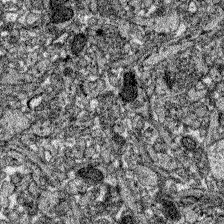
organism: Zebrafish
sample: Larval olfactory bulb